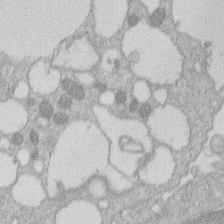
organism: Human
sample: Macrophage cells